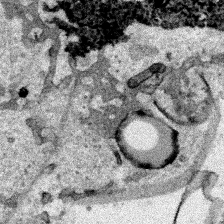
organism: Human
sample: Mitochondria in HCT116 cells